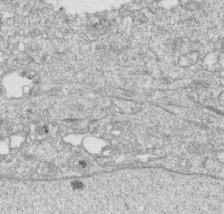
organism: Human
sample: HeLa cell HIV synapse